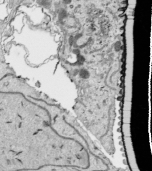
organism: Human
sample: Mitochondria in HCT116 cells